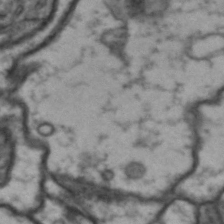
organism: Drosophila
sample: Brain